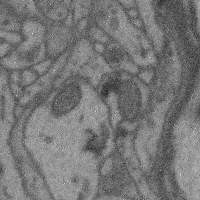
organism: Mouse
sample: Cerebral cortex